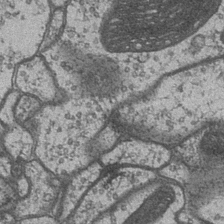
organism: Drosophila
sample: Optic medulla